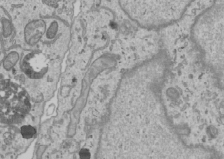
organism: Human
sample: Mitochondria in U2OS cells